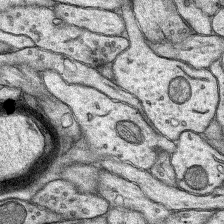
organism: Rat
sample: Hippocampus